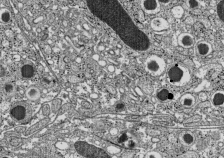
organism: C57BL Mouse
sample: Pancreatic islet